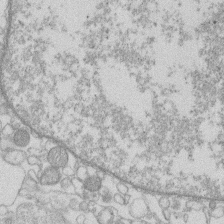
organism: Human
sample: Macrophage cells